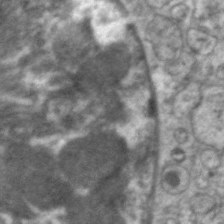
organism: C. elegans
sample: Pharynx